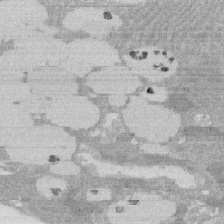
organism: Rat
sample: Salivary granule